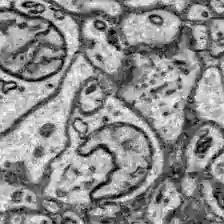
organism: Zebrafish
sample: Brain